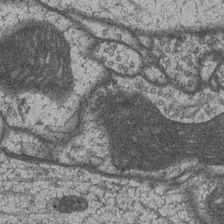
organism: Drosophila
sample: Optic medulla